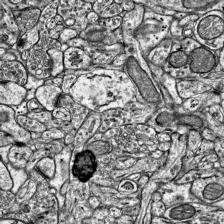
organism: Mouse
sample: Visual Cortex